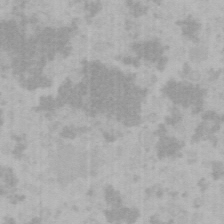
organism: Mouse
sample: Choroid plexus